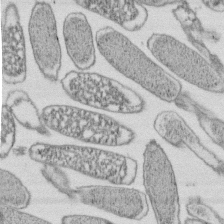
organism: E. coli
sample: Bacterial nucleoid